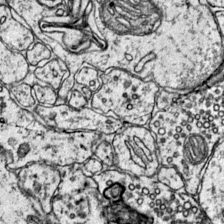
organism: Mouse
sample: Primary visual cortex